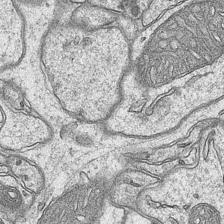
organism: Mouse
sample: CA1 Hippocampus